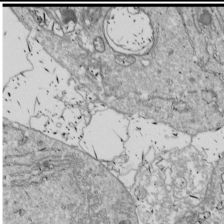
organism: Drosophila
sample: Cell division; meiosis; drosophila spermatocytes